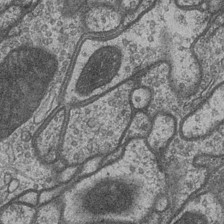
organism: Drosophila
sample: Optic medulla